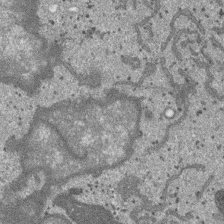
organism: Human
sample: Lung epithelial cells infected with SARS-CoV-2